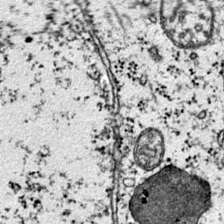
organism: Mouse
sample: Primary visual cortex